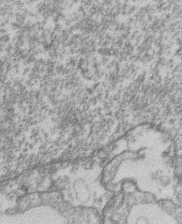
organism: Mouse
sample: T cell stromal cell synapse